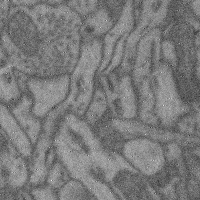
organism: Mouse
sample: Cerebral cortex